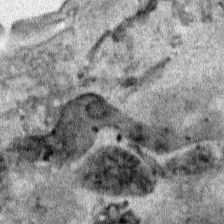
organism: Human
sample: Mitochondria in HCT116 cells